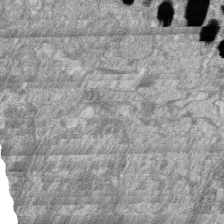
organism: Zebrafish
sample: Cilia; retinal pigment epithelium